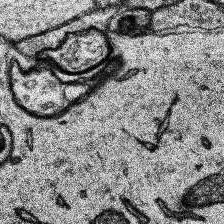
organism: Human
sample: Temporal Lobe